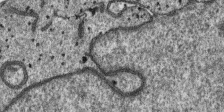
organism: Human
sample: Lung epithelial cells infected with SARS-CoV-2